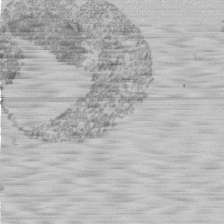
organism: Mouse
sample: Activated Pmel transgenic CD8+ T Cells